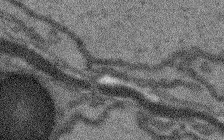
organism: Arabidopsis thaliana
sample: Root tip